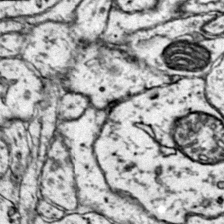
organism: Mouse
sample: Primary visual cortex